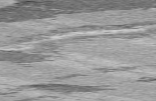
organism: C57BL Mouse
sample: Heart